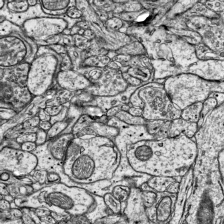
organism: Mouse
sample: Visual Cortex